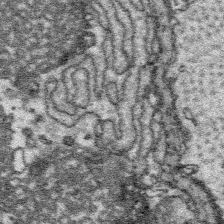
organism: Platynereis dumerilii